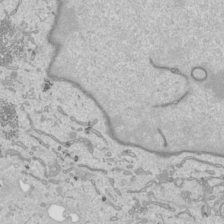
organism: Human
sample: Mitochondria in HCT116 cells